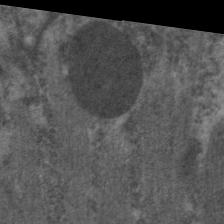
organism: C. elegans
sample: Pharynx